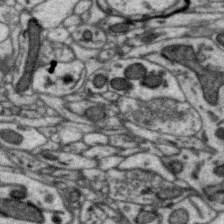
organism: Zebra finch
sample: Brain